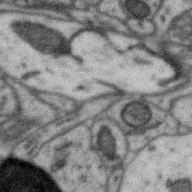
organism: Zebra finch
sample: Brain